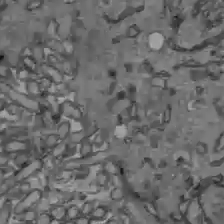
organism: C57BL Mouse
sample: Liver